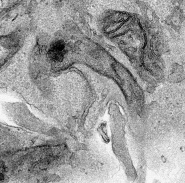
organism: Human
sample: Mitochondria in HCT116 cells